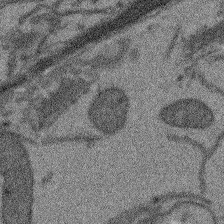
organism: Arabidopsis thaliana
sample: Root tip